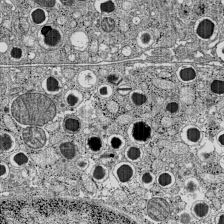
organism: C57BL Mouse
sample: Pancreatic islet